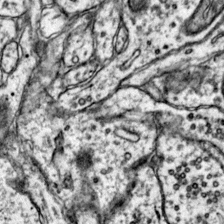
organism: Mouse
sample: Primary visual cortex